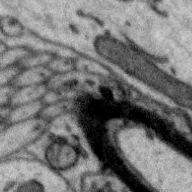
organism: Zebra finch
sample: Brain